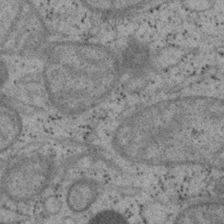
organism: Human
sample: HeLa cells